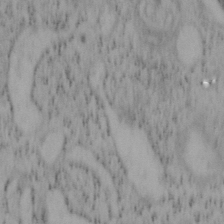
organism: Mouse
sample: OT-I killer T cells with ID8 ovarian cancer cells